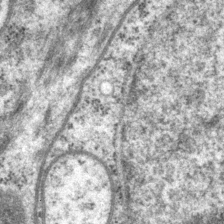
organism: P. pacificus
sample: Pharynx